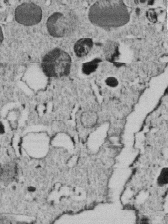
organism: C. elegans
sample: C. elegans embryo early stage